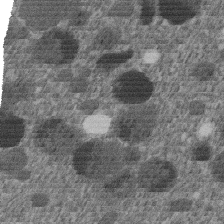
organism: C. elegans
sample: C. elegans embryo early stage